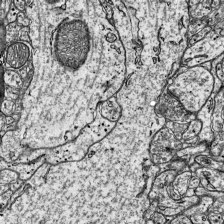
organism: Mouse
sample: Visual Cortex